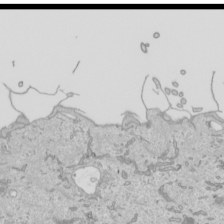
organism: Human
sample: Mitochondria in HCT116 cells